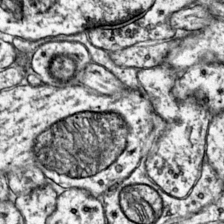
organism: Mouse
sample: Primary visual cortex